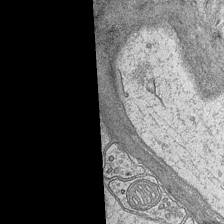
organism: Mouse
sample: CA1 Hippocampus